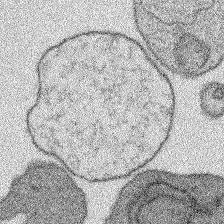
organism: Human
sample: HeLa cells